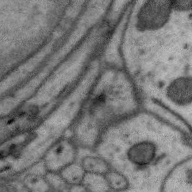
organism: Zebra finch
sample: Brain